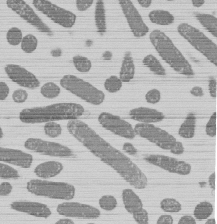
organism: E. coli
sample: Bacterial nucleoid